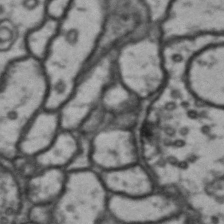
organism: Drosophila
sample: Brain